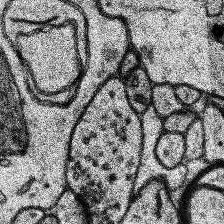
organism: Human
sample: Temporal Lobe